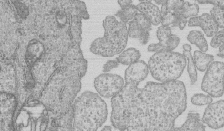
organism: Human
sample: MDA-MB-231 cells